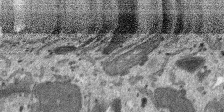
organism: Human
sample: Lung epithelial cells infected with SARS-CoV-2